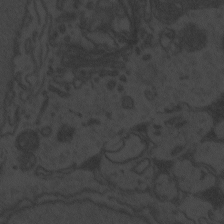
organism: Zebrafish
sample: Macrophage infected with Toxoplasma gondii